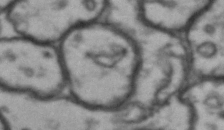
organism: Drosophila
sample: Brain